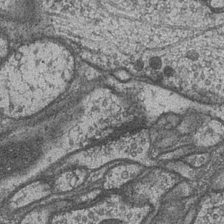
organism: Drosophila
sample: Optic medulla